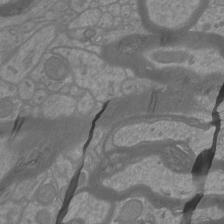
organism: Mouse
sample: Cortical neurons